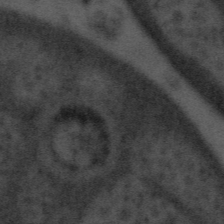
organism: Tuwongella immobilis